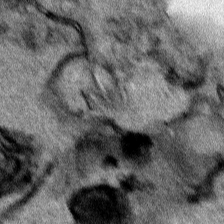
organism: Human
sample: Mitochondria in HCT116 cells